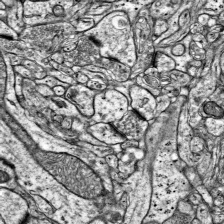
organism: Mouse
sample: Visual Cortex